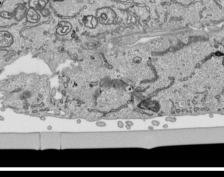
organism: Human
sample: Mitochondria in HCT116 cells